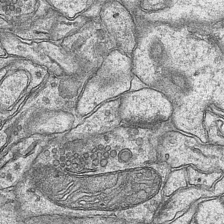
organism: Mouse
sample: CA1 Hippocampus